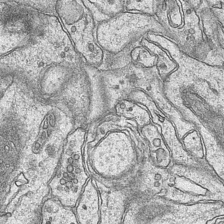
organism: Mouse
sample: CA1 Hippocampus